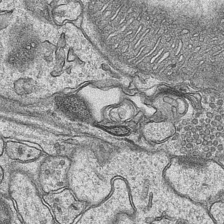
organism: Mouse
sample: CA1 Hippocampus